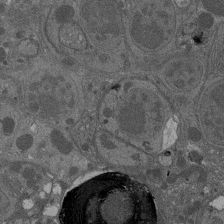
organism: Drosophila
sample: Antenna